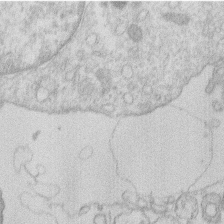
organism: Human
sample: Macrophage cells